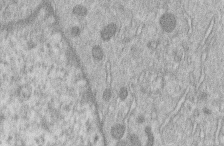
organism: Human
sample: Macrophage cells